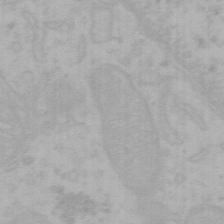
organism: Mouse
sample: Choroid plexus